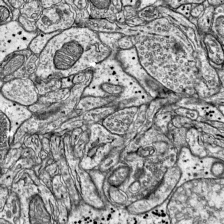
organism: Mouse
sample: Visual Cortex